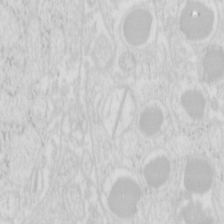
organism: Mouse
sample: Pancreas